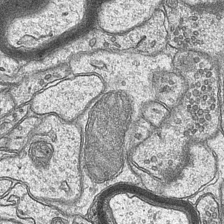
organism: Mouse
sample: CA1 Hippocampus